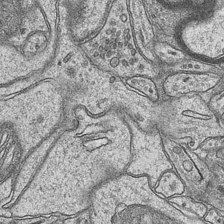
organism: Mouse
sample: CA1 Hippocampus